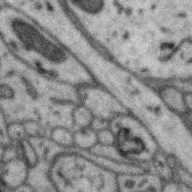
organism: Zebra finch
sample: Brain